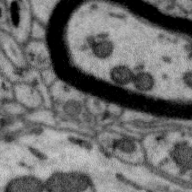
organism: Zebra finch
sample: Brain